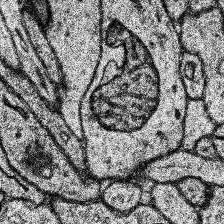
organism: Human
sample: Temporal Lobe